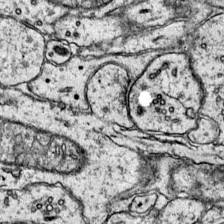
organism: Mouse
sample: Primary visual cortex